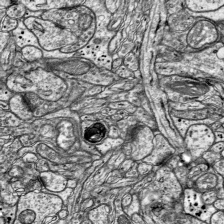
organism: Mouse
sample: Visual Cortex